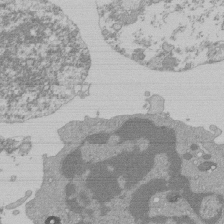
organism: Mouse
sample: Activated Pmel transgenic CD8+ T Cells